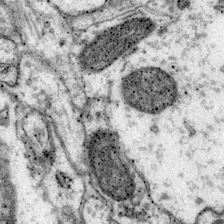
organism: Mouse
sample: Primary visual cortex